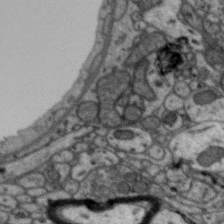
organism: Zebra finch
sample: Brain